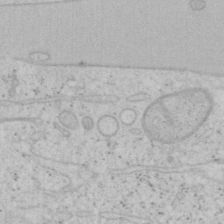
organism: Human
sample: HeLa cells